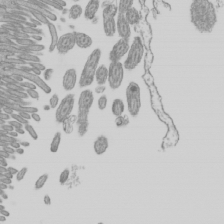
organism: Mouse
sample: Cilia; mouse epididymis